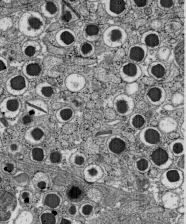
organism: C57BL Mouse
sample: Pancreatic islet